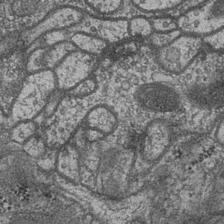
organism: Drosophila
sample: Optic medulla